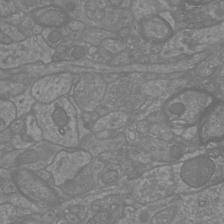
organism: Mouse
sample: Cortical neurons